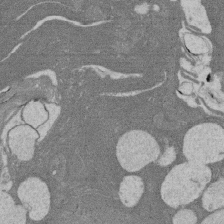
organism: Rat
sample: Salivary granule